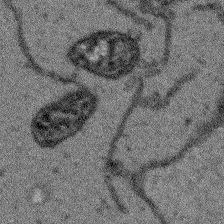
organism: Arabidopsis thaliana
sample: Root tip